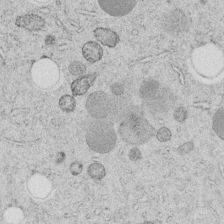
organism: C. elegans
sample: C. elegans embryo early stage